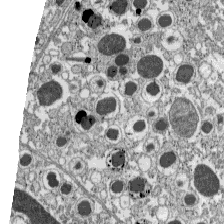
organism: C57BL Mouse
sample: Pancreatic islet